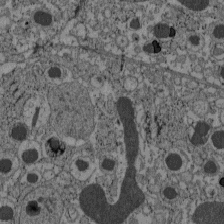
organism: C57BL Mouse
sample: Pancreatic islet